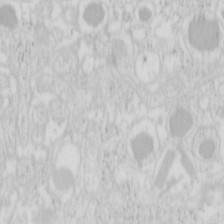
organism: Mouse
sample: Pancreas